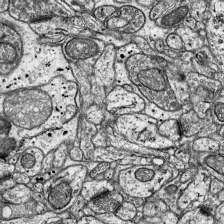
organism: Mouse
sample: Visual Cortex